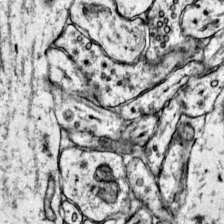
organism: Mouse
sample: Primary visual cortex